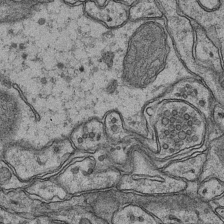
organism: Mouse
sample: CA1 Hippocampus